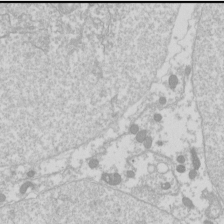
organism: Drosophila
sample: Cell division; meiosis; drosophila spermatocytes